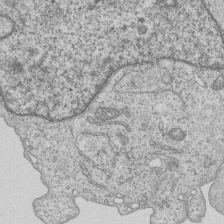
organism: Human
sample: MDA-MB-231 cells